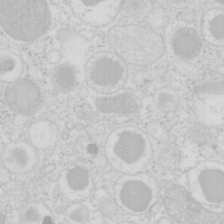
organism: Mouse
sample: Pancreas